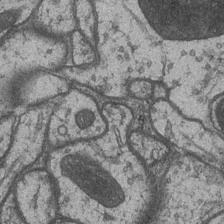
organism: Drosophila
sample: Optic medulla